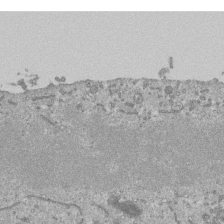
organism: Mouse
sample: ED-1 cell nuclei; centrioles